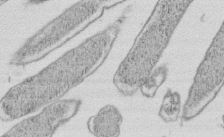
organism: E. coli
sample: Bacterial nucleoid